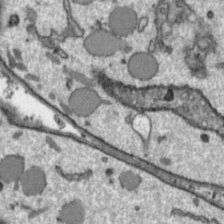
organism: Toxoplasma gondii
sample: Parasites in a vacuole inside a host cell